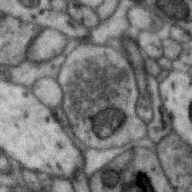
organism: Zebra finch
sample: Brain